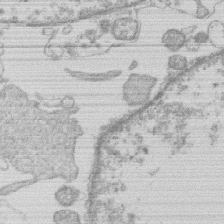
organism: Human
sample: Macrophage cells